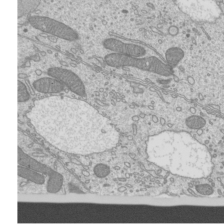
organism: Mouse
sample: Cilia; mouse epididymis